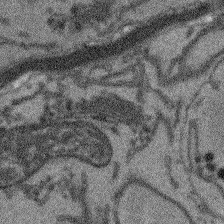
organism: Arabidopsis thaliana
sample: Root tip